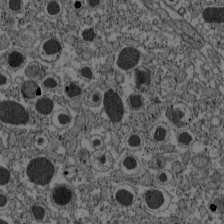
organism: C57BL Mouse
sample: Pancreatic islet